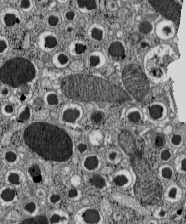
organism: C57BL Mouse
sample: Pancreatic islet